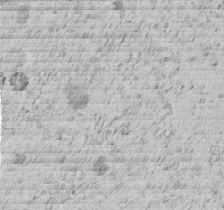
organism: C. elegans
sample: C. elegans embryo early stage